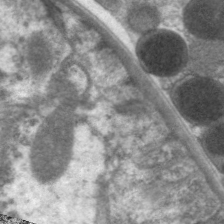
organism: C. elegans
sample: Pharynx